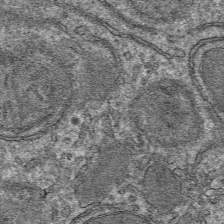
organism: Mouse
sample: Mouse hepatocytes